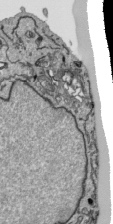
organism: Human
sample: Mitochondria in HCT116 cells